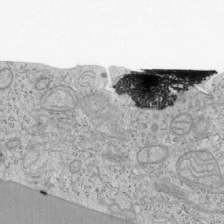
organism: Human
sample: HeLa cells